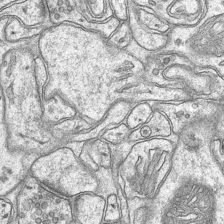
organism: Mouse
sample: CA1 Hippocampus